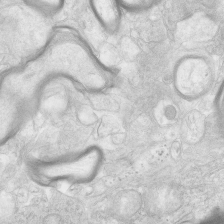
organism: Human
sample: Neocortex